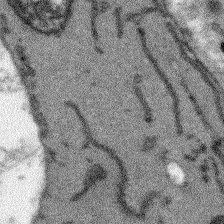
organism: Arabidopsis thaliana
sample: Root tip